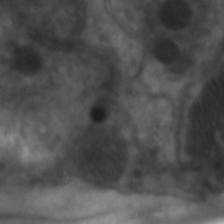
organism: C. elegans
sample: Pharynx